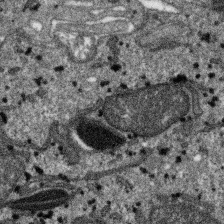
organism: Human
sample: Lung epithelial cells infected with SARS-CoV-2